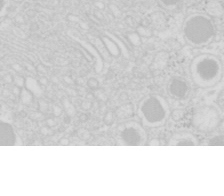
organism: Mouse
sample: Pancreas